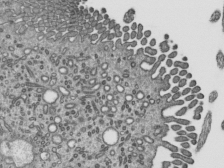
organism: Mouse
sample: Mouse epididymis efferent ductule cilia